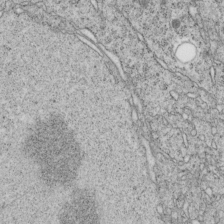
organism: C. elegans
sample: C. elegans embryo early stage